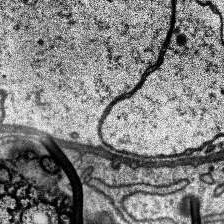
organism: Human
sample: Temporal Lobe